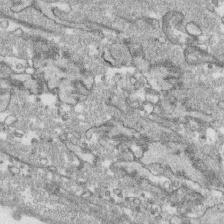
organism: Human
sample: CRL-1474